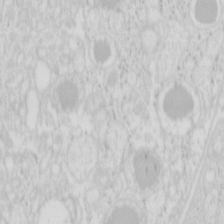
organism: Mouse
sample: Pancreas